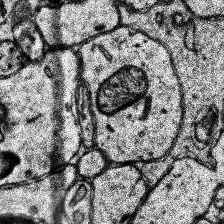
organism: Human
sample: Temporal Lobe